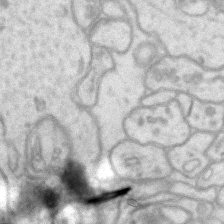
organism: Mouse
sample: CA1 Hippocampus